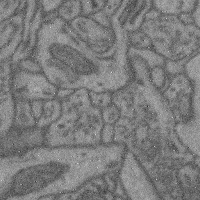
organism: Mouse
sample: Cerebral cortex